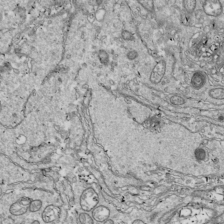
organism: Drosophila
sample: Cell division; meiosis; drosophila spermatocytes